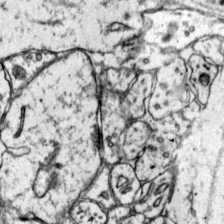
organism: Mouse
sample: Primary visual cortex